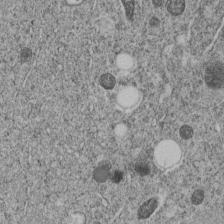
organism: C. elegans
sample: C. elegans embryo early stage